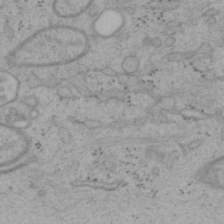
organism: Human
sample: HeLa cells